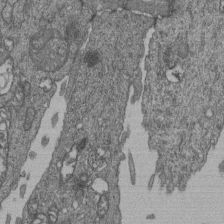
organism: Human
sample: Retinal organoid Rod and Cone cells